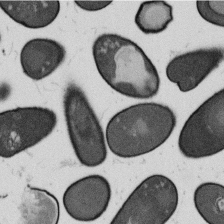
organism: B. subtilis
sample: Bacterial spore